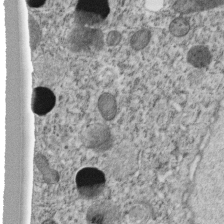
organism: C. elegans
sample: C. elegans embryo early stage